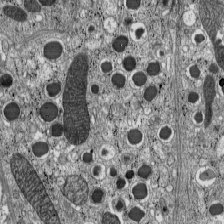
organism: C57BL Mouse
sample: Pancreatic islet